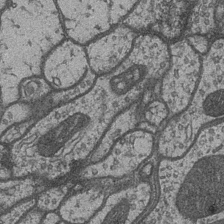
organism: Drosophila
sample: Optic medulla